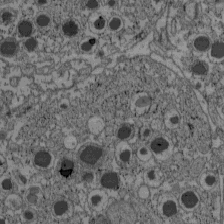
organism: C57BL Mouse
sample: Pancreatic islet